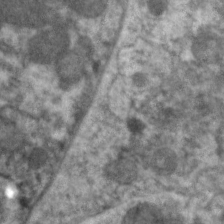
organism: C. elegans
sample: Pharynx